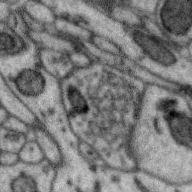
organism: Zebra finch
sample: Brain